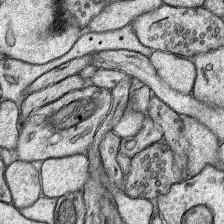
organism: Rat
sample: Hippocampus